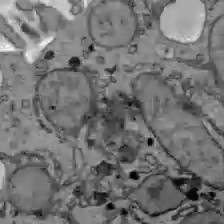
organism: C57BL Mouse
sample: Liver